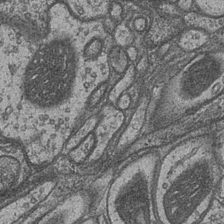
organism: Drosophila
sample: Optic medulla